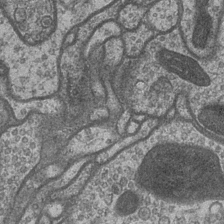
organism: Drosophila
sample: Optic medulla